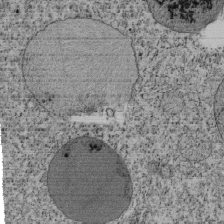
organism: Tetrahymena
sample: Cilia in tetrahymena